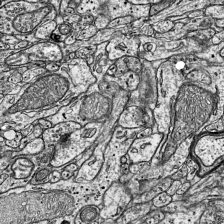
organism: Mouse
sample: Visual Cortex